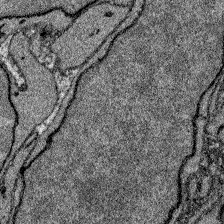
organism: Zebrafish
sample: Larval olfactory bulb